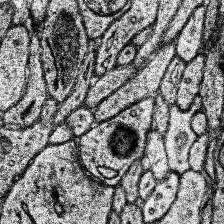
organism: Human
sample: Temporal Lobe